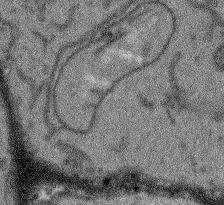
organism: Arabidopsis thaliana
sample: Root tip